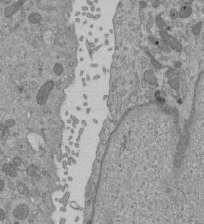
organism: Mouse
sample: ED-1 cell nuclei; centrioles